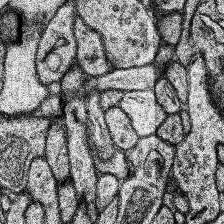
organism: Human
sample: Temporal Lobe